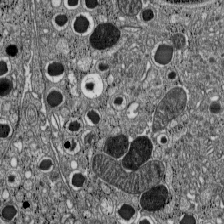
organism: C57BL Mouse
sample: Pancreatic islet